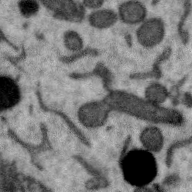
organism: Zebra finch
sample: Brain